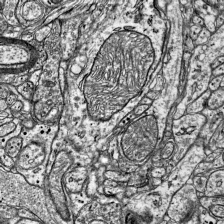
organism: Mouse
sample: Visual Cortex